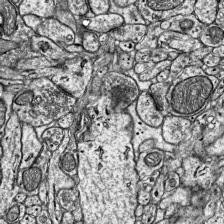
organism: Mouse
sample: Visual Cortex